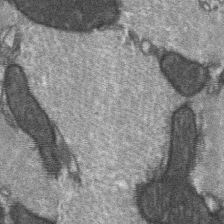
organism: C57BL Mouse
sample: Soleus